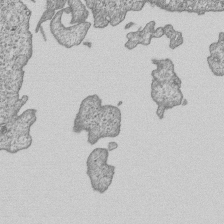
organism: Human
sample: MDA-MB-231 cells